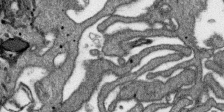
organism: Human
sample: Lung epithelial cells, uninfected (mock) control